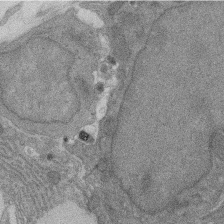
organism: Rat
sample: Salivary granule